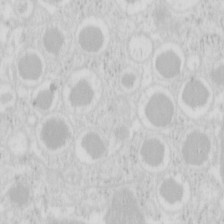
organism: Mouse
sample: Pancreas